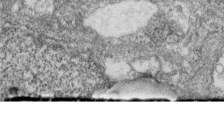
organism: Zebrafish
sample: Cilia; retinal pigment epithelium